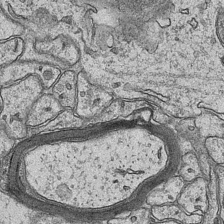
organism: Mouse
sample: CA1 Hippocampus